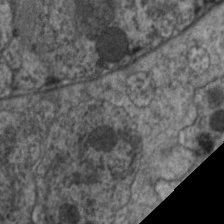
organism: C. elegans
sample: Pharynx